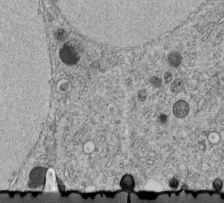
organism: C. elegans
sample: C. elegans embryo early stage